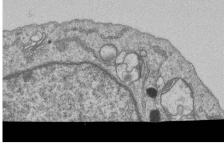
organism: Human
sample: MDA-MB-231 cells